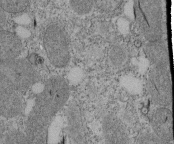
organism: Tetrahymena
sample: Cilia in tetrahymena